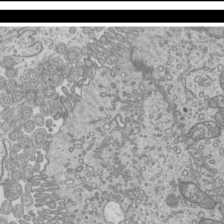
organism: Mouse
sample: Cilia; mouse epididymis